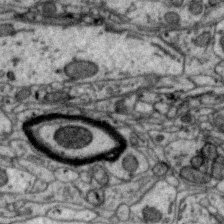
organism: Zebra finch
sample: Brain